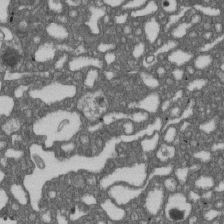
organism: Drosophila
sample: Nephrocyte